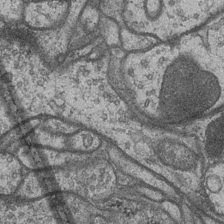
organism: Drosophila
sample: Optic medulla